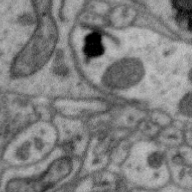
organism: Zebra finch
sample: Brain